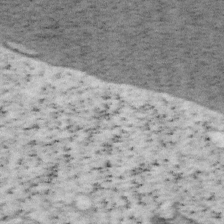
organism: Mouse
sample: OT-I killer T cells with ID8 ovarian cancer cells